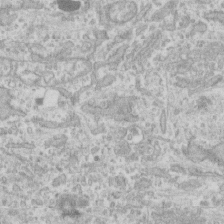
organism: Human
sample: CRL-1474